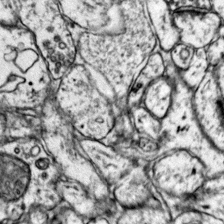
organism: Mouse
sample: Primary visual cortex